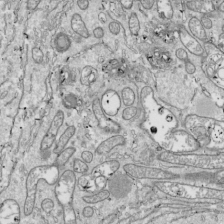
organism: Drosophila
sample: Cell division; meiosis; drosophila spermatocytes